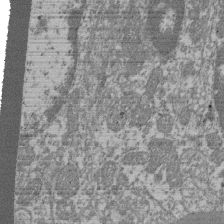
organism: Mouse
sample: Glomerulus